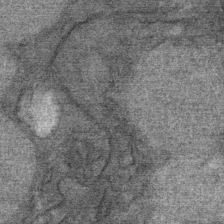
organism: Mouse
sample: Mouse Salivary gland